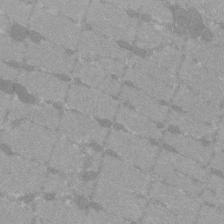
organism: C57BL Mouse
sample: Tibialis anterior muscle cell